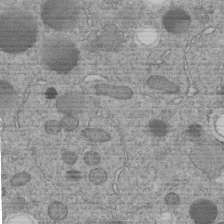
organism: C. elegans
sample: C. elegans embryo early stage